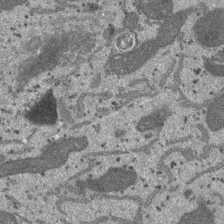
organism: Human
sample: Lung epithelial cells infected with SARS-CoV-2